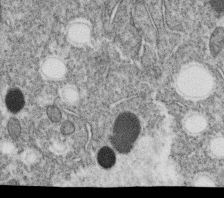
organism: C. elegans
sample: C. elegans oocyte; sperm cells